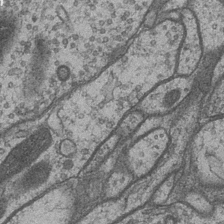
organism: Drosophila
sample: Optic medulla